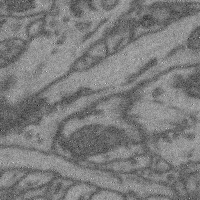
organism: Mouse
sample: Cerebral cortex